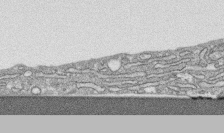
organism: Human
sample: CRL-1474